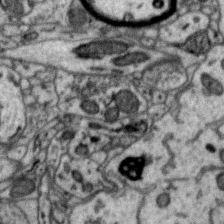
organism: Zebra finch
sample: Brain